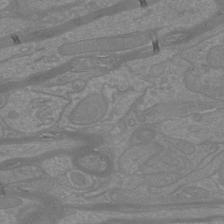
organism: Mouse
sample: Cortical neurons